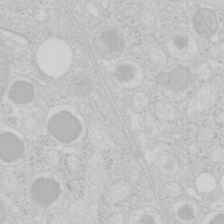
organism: Mouse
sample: Pancreas